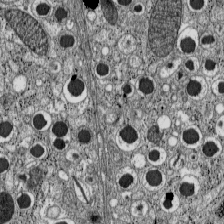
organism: C57BL Mouse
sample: Pancreatic islet